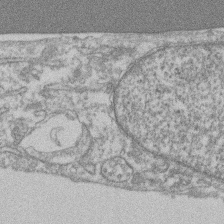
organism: Mouse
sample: T cell stromal cell synapse